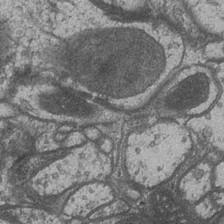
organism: Drosophila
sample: Optic medulla